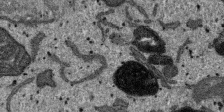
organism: Human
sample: Lung epithelial cells, uninfected (mock) control